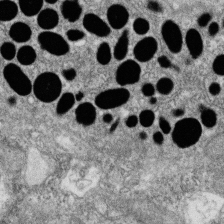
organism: Zebrafish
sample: Cilia; retinal pigment epithelium